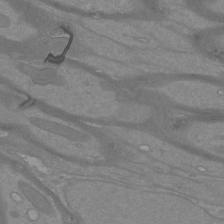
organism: Mouse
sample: Cortical neurons